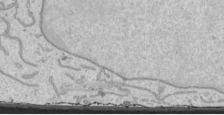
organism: Human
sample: Mitochondria in HCT116 cells